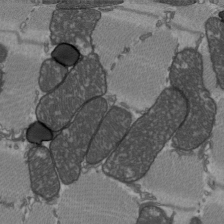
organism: C57BL Mouse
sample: Heart